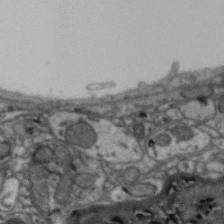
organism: Zebra finch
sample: Brain